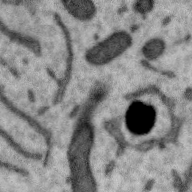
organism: Zebra finch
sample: Brain